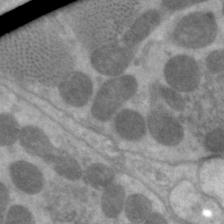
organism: C. elegans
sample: Pharynx